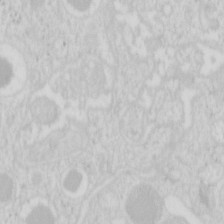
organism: Mouse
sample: Pancreas